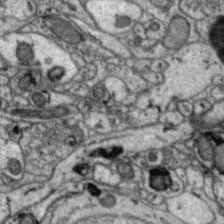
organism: Zebra finch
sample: Brain